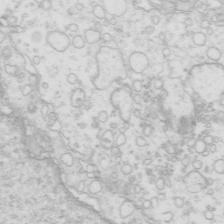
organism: Mouse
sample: Multiciliated cells